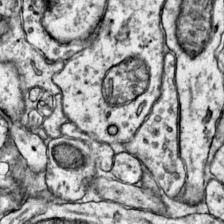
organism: Mouse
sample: Primary visual cortex